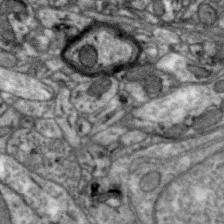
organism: Zebra finch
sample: Brain